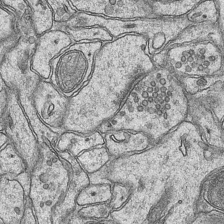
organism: Mouse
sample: CA1 Hippocampus